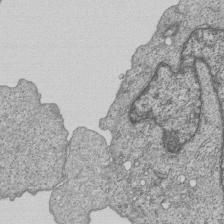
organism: Human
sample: MDA-MB-231 cells